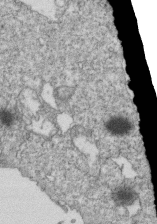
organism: Human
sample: HeLa cell HIV synapse